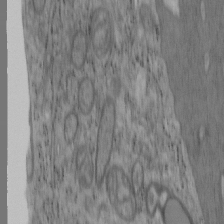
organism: Human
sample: HeLa cells